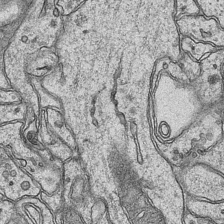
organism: Mouse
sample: CA1 Hippocampus